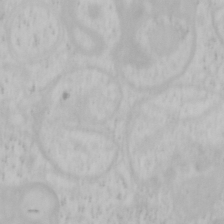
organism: Mouse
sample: OT-I killer T cells with ID8 ovarian cancer cells